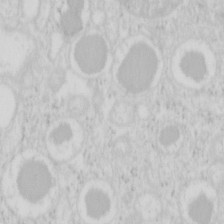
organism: Mouse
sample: Pancreas